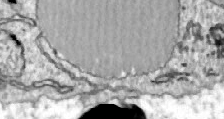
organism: Zebrafish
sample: Actinotrichia fibers